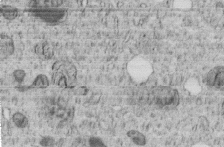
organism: C. elegans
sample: C. elegans embryo early stage